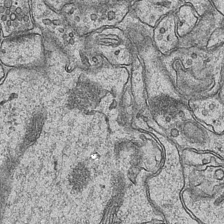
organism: Mouse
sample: CA1 Hippocampus